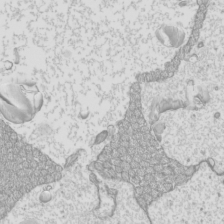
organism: Mouse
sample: Cilia; mouse epididymis